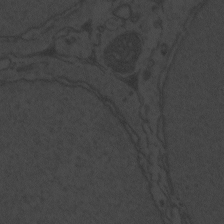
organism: Zebrafish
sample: Macrophage infected with Toxoplasma gondii